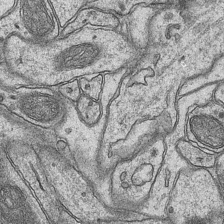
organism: Mouse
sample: CA1 Hippocampus